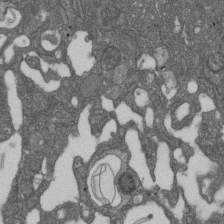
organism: Drosophila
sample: Nephrocyte